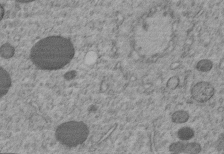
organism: C. elegans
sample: C. elegans embryo early stage